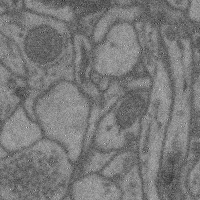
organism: Mouse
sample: Cerebral cortex